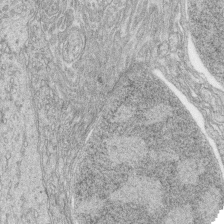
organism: Zebrafish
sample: synaptic ribbons in rod cells and cone cells